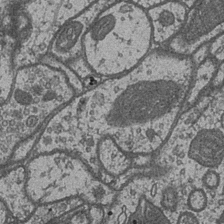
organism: Drosophila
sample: Optic medulla